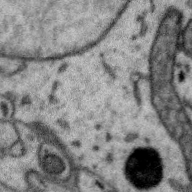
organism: Zebra finch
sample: Brain